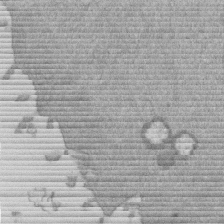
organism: Mouse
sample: Dividing mouse embryo 1 cell stage